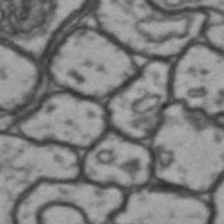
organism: Drosophila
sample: Brain